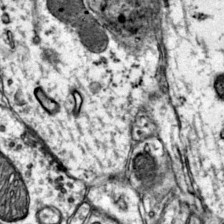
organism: Mouse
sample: Primary visual cortex